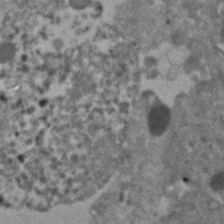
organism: Human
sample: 1205lu cells